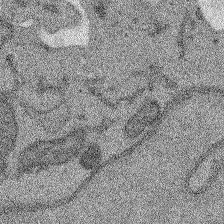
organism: Human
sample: HeLa cells